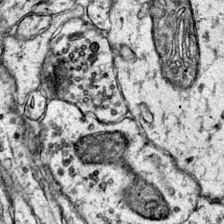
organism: Mouse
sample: Primary visual cortex